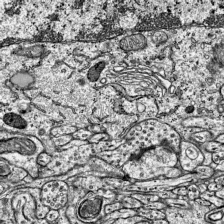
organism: Mouse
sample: Visual Cortex